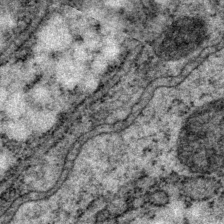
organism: P. pacificus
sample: Pharynx